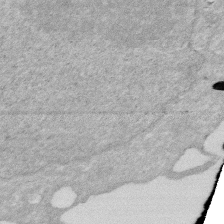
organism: Human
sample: HIV infected U937 cells